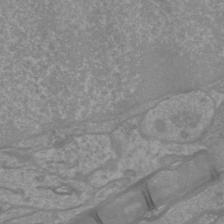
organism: Mouse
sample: Cortical neurons